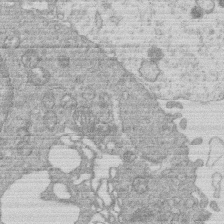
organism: Human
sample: Macrophage cells